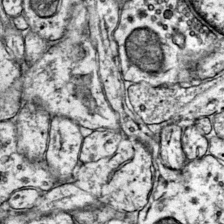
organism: Mouse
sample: Primary visual cortex